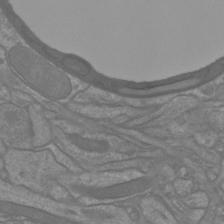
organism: Mouse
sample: Cortical neurons